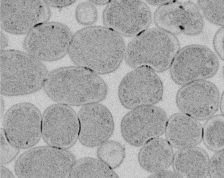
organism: E. coli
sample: Bacterial nucleoid